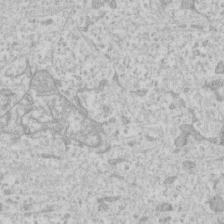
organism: Human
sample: Fibroblast cells